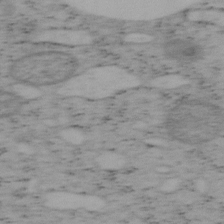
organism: Mouse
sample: OT-I killer T cells with ID8 ovarian cancer cells